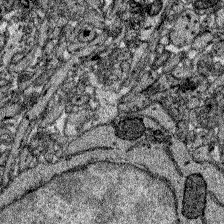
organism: Zebrafish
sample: Larval olfactory bulb